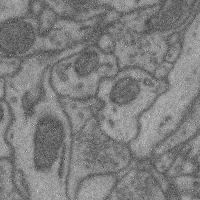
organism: Mouse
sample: Cerebral cortex